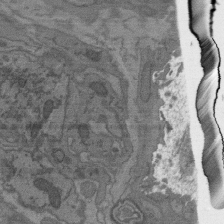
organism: C. elegans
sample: AFD neurons C. elegans